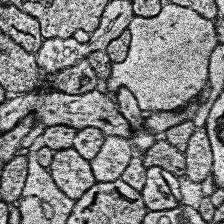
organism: Human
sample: Temporal Lobe